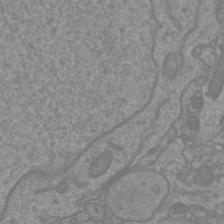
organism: Mouse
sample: Cortical neurons